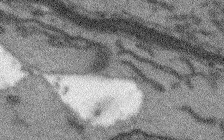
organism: Arabidopsis thaliana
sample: Root tip